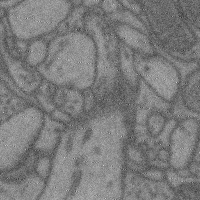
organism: Mouse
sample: Cerebral cortex